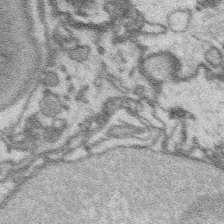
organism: Platynereis dumerilii